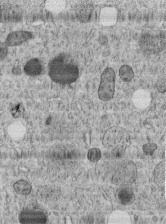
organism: C. elegans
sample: C. elegans embryo early stage